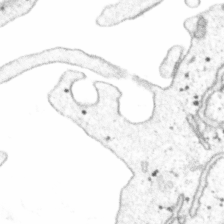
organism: Human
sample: HeLa cells